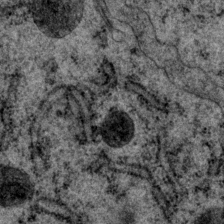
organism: P. pacificus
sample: Pharynx